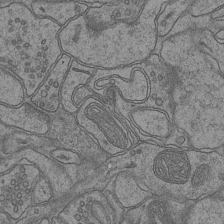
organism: Mouse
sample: CA1 Hippocampus